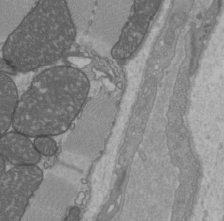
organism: C57BL Mouse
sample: Heart